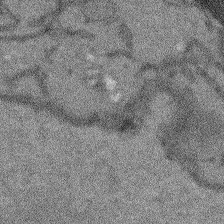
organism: Arabidopsis thaliana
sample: Root tip